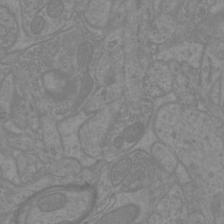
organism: Mouse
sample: Cortical neurons